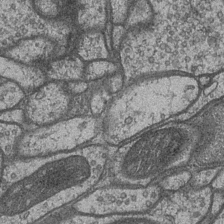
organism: Drosophila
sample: Optic medulla